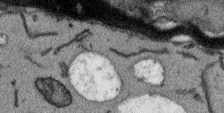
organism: Arabidopsis thaliana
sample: Root tip